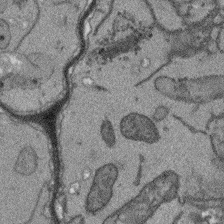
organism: Arabidopsis thaliana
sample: Root tip